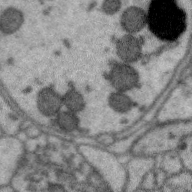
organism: Zebra finch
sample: Brain